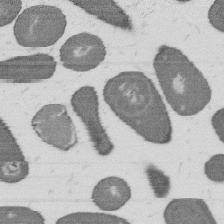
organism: B. subtilis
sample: Bacterial spore